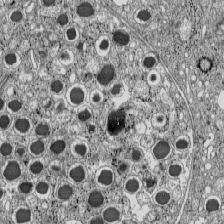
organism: C57BL Mouse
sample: Pancreatic islet